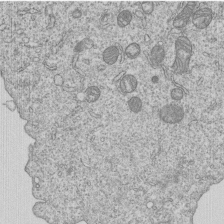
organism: Human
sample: MDA-MB-231 cells